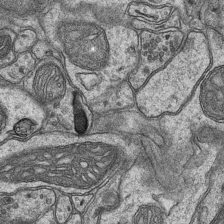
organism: Mouse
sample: CA1 Hippocampus